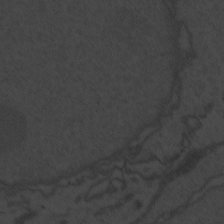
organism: Zebrafish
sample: Macrophage infected with Toxoplasma gondii